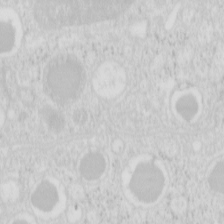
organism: Mouse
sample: Pancreas